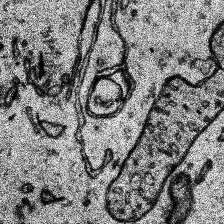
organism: Human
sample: Temporal Lobe